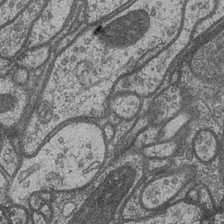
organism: Drosophila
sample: Optic medulla